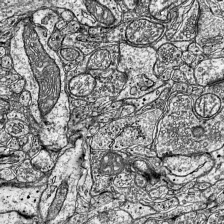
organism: Mouse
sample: Visual Cortex